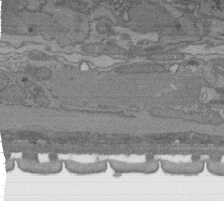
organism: C. elegans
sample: AFD neurons C. elegans